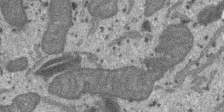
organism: Human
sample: Lung epithelial cells infected with SARS-CoV-2